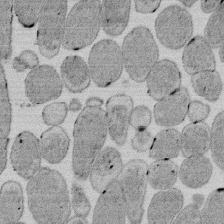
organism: E. coli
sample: Bacterial nucleoid